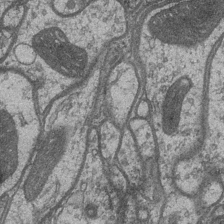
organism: Drosophila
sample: Optic medulla